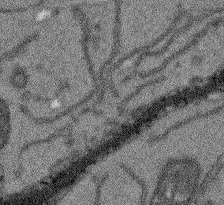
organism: Arabidopsis thaliana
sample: Root tip